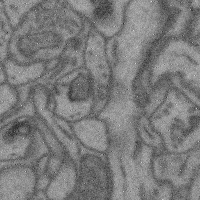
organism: Mouse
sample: Cerebral cortex